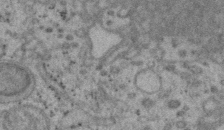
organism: Human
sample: HeLa cells